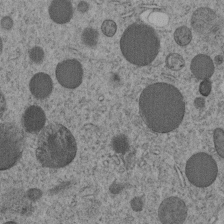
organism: C. elegans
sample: C. elegans embryo early stage